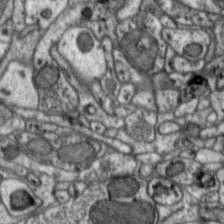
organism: Zebra finch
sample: Brain